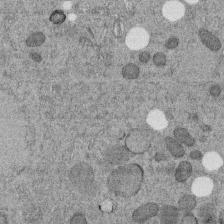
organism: C. elegans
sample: C. elegans embryo early stage